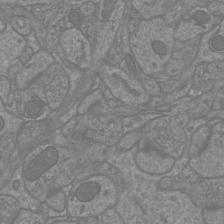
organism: Mouse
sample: Cortical neurons